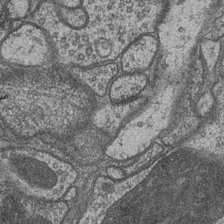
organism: Drosophila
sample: Optic medulla